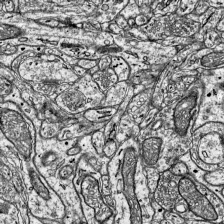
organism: Mouse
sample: Visual Cortex